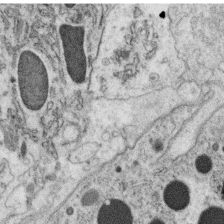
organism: C. elegans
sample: C. elegans oocyte; sperm cells